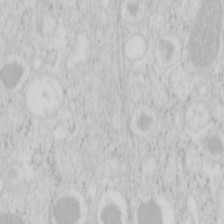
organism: Mouse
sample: Pancreas